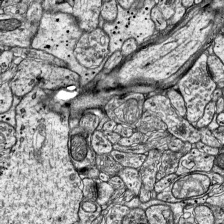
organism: Mouse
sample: Visual Cortex